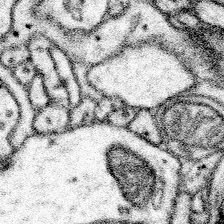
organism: Mouse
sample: Somatosensory cortex neuropil